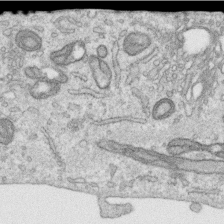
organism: Human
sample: Centriole in RPE cells